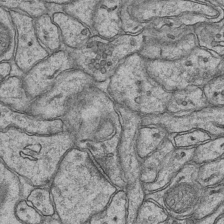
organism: Mouse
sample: CA1 Hippocampus